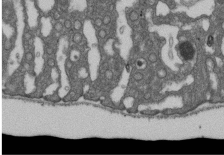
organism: Drosophila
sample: Nephrocyte